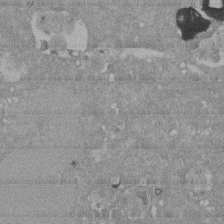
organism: Mouse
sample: ED-1 cell nuclei; centrioles